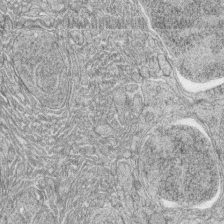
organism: Zebrafish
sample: synaptic ribbons in rod cells and cone cells